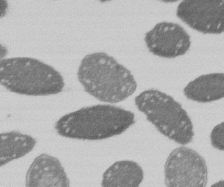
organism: E. coli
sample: Bacterial nucleoid